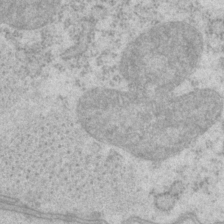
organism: P. pacificus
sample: Pharynx